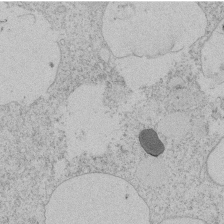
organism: Tetrahymena